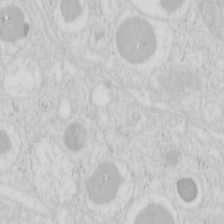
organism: Mouse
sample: Pancreas